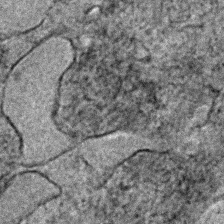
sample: Trachea